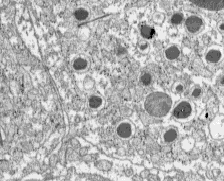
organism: C57BL Mouse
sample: Pancreatic islet